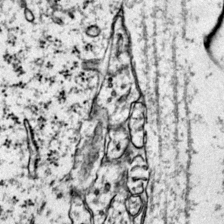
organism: Mouse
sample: Primary visual cortex